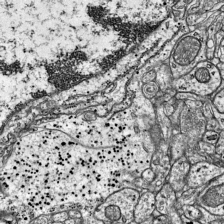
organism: Mouse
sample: Visual Cortex